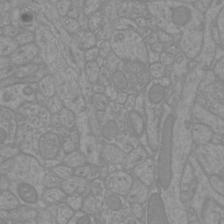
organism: Mouse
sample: Cortical neurons